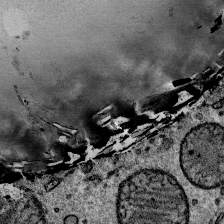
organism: Mouse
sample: Mouse Salivary gland